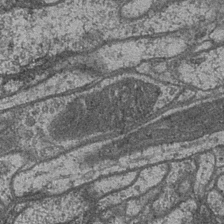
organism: Drosophila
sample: Optic medulla